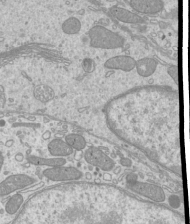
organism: Mouse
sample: Cilia; mouse epididymis